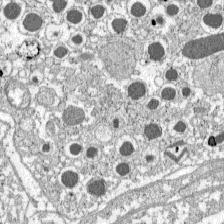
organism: C57BL Mouse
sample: Pancreatic islet